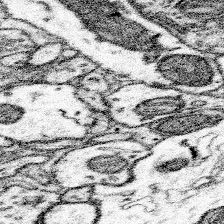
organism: Mouse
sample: Somatosensory cortex neuropil